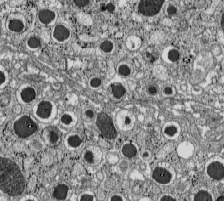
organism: C57BL Mouse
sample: Pancreatic islet